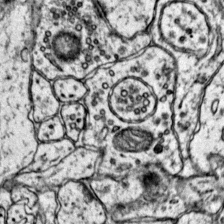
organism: Mouse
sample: Primary visual cortex